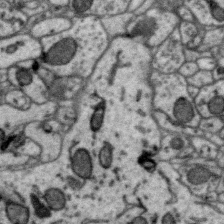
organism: Zebra finch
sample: Brain